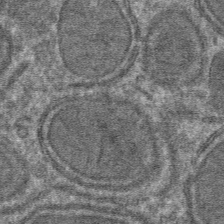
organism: Mouse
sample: Mouse hepatocytes